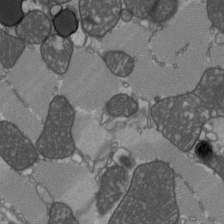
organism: C57BL Mouse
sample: Heart